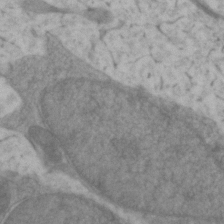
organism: Zebrafish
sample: Zebrafish embryo